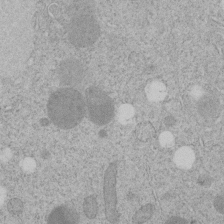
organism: C. elegans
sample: C. elegans embryo early stage